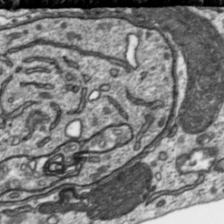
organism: Toxoplasma gondii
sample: Parasites in a vacuole inside a host cell